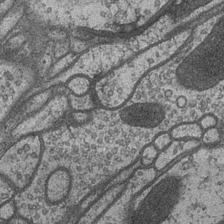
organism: Drosophila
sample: Optic medulla